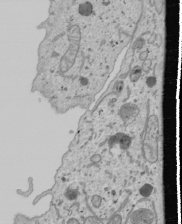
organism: Human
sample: Mitochondria in U2OS cells